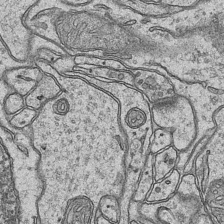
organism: Mouse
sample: CA1 Hippocampus